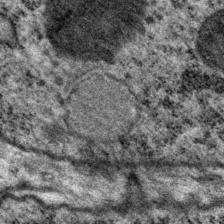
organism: P. pacificus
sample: Pharynx